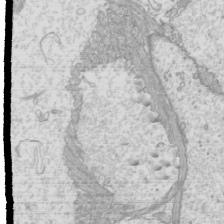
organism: Mouse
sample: Cilia; mouse epididymis